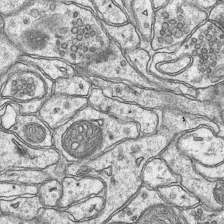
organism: Mouse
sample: CA1 Hippocampus